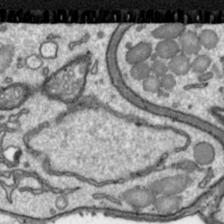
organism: Toxoplasma gondii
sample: Parasites in a vacuole inside a host cell